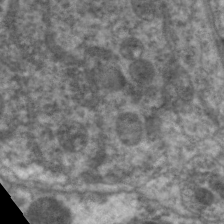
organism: C. elegans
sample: Pharynx